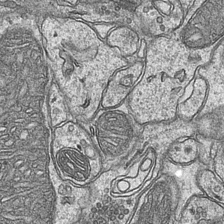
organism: Mouse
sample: CA1 Hippocampus